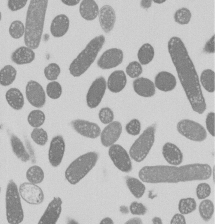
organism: E. coli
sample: Bacterial nucleoid